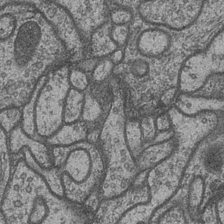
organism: Drosophila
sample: Optic medulla